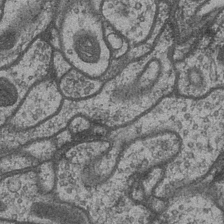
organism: Drosophila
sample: Optic medulla